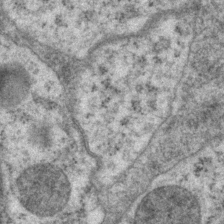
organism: P. pacificus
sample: Pharynx